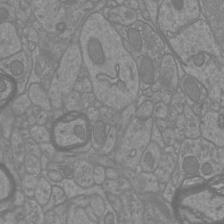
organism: Mouse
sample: Cortical neurons